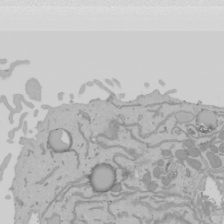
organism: Mouse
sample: Cancer cell death in ED-1 cells